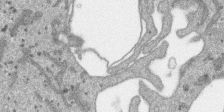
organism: Human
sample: Lung epithelial cells infected with SARS-CoV-2